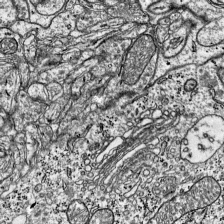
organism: Mouse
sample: Visual Cortex